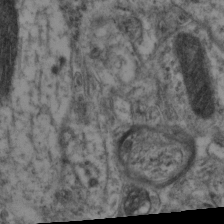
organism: Mouse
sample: Neocortex